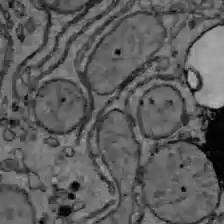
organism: C57BL Mouse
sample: Liver